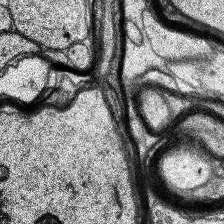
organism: Human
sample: Temporal Lobe